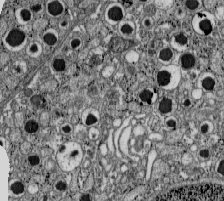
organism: C57BL Mouse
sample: Pancreatic islet